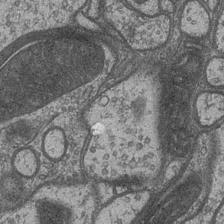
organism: Drosophila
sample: Optic medulla